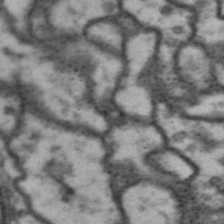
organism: Drosophila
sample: Brain